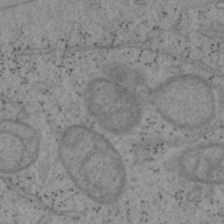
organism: Human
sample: HeLa cells